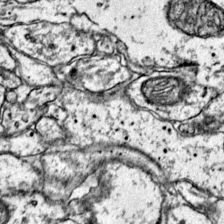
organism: Mouse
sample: Primary visual cortex